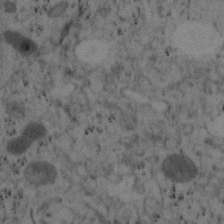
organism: Human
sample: HeLa cells